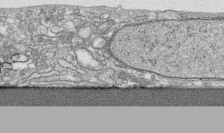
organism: Human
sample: CRL-1474